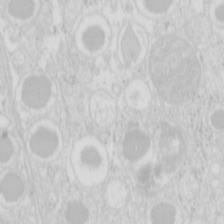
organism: Mouse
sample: Pancreas